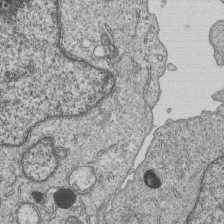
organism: Human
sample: MDA-MB-231 cells